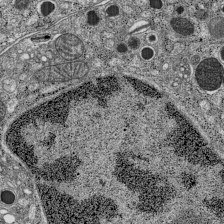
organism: C57BL Mouse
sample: Pancreatic islet